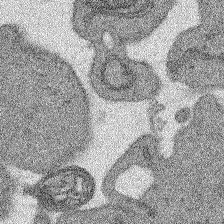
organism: Human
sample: HeLa cells